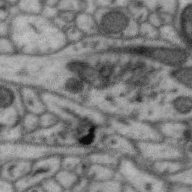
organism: Zebra finch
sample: Brain